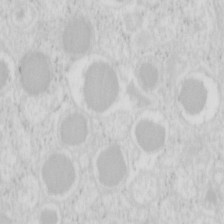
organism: Mouse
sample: Pancreas